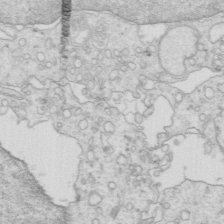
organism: Mouse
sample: Multiciliated cells